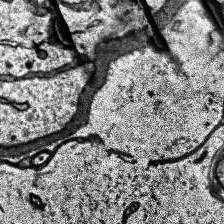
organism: Human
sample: Temporal Lobe